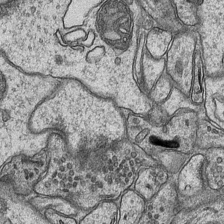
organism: Mouse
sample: CA1 Hippocampus